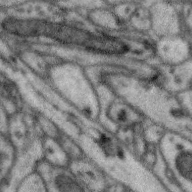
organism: Zebra finch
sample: Brain